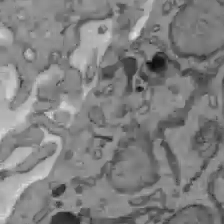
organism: C57BL Mouse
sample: Liver